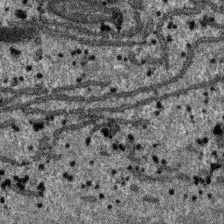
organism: Human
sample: Lung epithelial cells infected with SARS-CoV-2